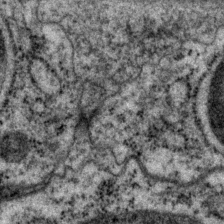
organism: P. pacificus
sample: Pharynx